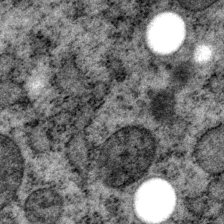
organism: P. pacificus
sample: Pharynx